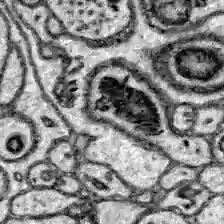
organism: Zebrafish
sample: Brain